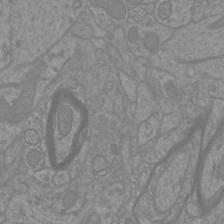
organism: Mouse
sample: Cortical neurons